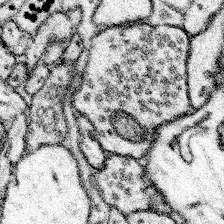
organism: Mouse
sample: Somatosensory cortex neuropil